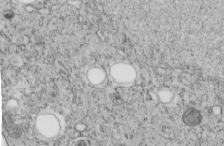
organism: C. elegans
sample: C. elegans embryo early stage